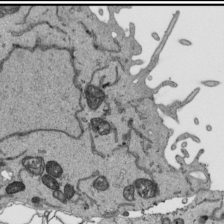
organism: Human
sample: Mitochondria in HCT116 cells